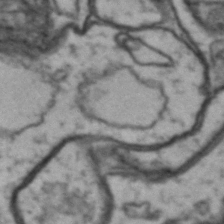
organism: Drosophila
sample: Brain